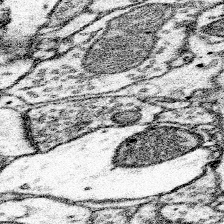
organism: Mouse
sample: Somatosensory cortex neuropil